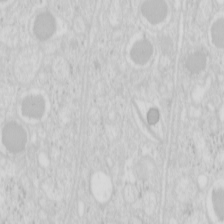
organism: Mouse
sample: Pancreas